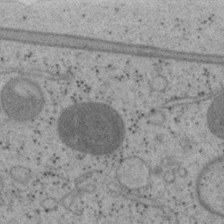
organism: Human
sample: HeLa cells